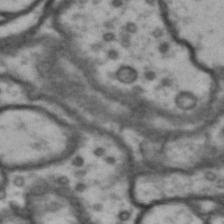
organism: Drosophila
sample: Brain